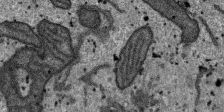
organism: Human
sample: Lung epithelial cells, uninfected (mock) control